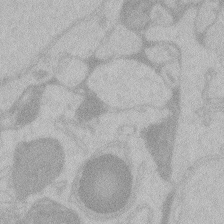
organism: Zebrafish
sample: Macrophage infected with Toxoplasma gondii